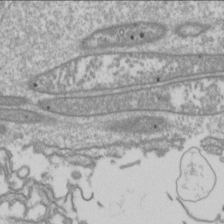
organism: Drosophila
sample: Cell division; meiosis; drosophila spermatocytes